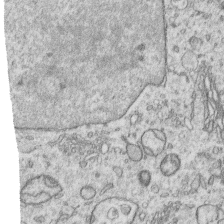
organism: Human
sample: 1205lu cells